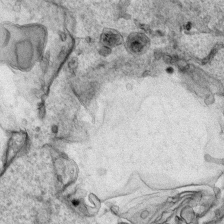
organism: Human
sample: Mitochondria in HCT116 cells